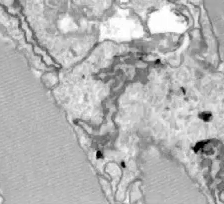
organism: Zebrafish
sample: Actinotrichia fibers